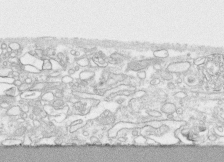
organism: Human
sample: CRL-1474